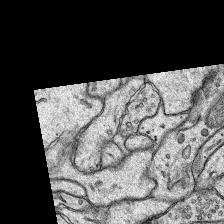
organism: Rat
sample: Hippocampus